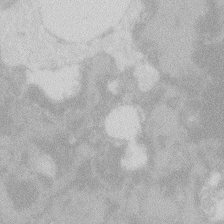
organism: Zebrafish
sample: Macrophage